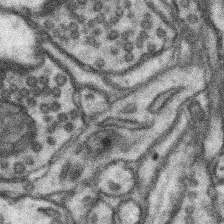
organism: Mouse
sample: Somatosensory cortex neuropil